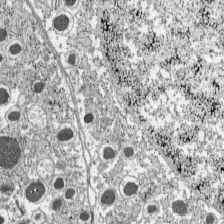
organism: C57BL Mouse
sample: Pancreatic islet